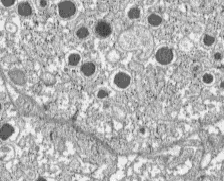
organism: C57BL Mouse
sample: Pancreatic islet